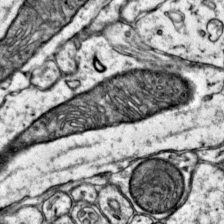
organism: Mouse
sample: Primary visual cortex